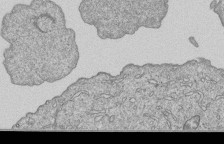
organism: Human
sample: MDA-MB-231 cells